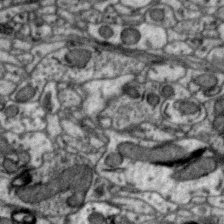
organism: Zebra finch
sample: Brain